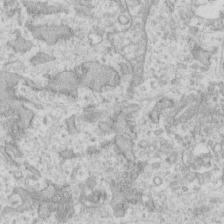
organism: Human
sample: Fibroblast cells